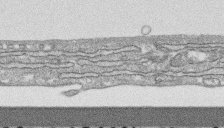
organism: Human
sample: CRL-1474